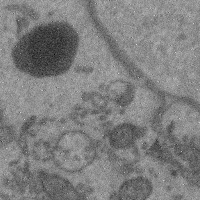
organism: Mouse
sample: Cerebral cortex